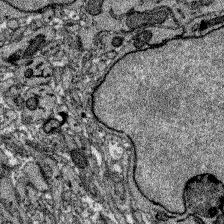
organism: Zebrafish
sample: Larval olfactory bulb